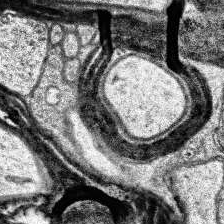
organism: Human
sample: Temporal Lobe